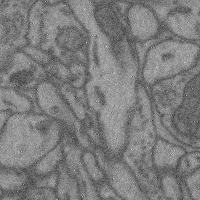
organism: Mouse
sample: Cerebral cortex